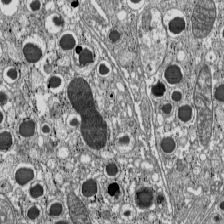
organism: C57BL Mouse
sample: Pancreatic islet